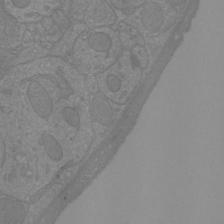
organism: Mouse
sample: Cortical neurons